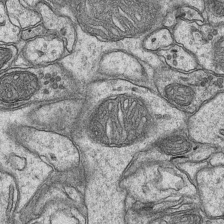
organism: Mouse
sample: CA1 Hippocampus